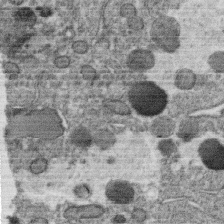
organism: C. elegans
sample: C. elegans oocyte; sperm cells